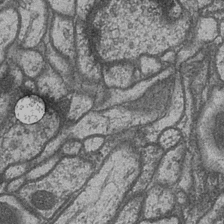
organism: Drosophila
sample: Optic medulla